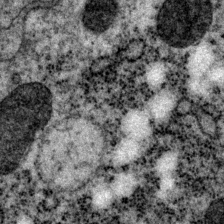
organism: P. pacificus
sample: Pharynx